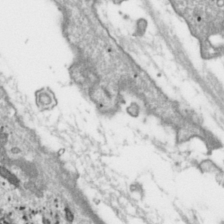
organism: Toxoplasma gondii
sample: Parasites in a vacuole inside a host cell